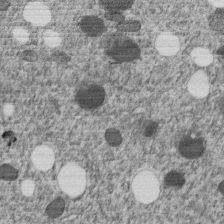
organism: C. elegans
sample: C. elegans embryo early stage